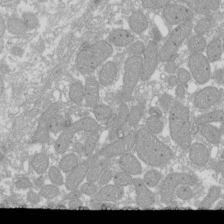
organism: Xenopus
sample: Cilia; centrioles in frog embryo cells